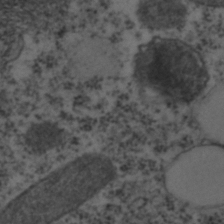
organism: C. elegans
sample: C. elegans embryo